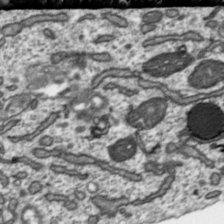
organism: Toxoplasma gondii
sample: Parasites in a vacuole inside a host cell